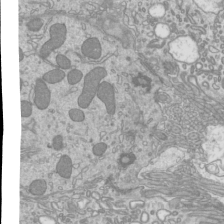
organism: Mouse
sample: Cilia; mouse epididymis